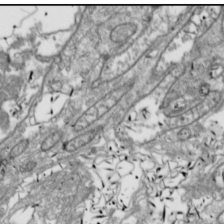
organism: Drosophila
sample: Cell division; meiosis; drosophila spermatocytes